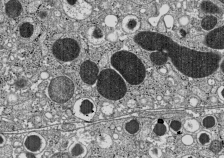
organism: C57BL Mouse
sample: Pancreatic islet